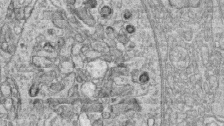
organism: Zebrafish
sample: synaptic ribbons in rod cells and cone cells